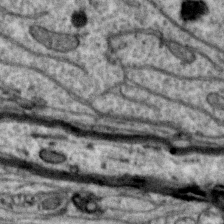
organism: Zebra finch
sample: Brain